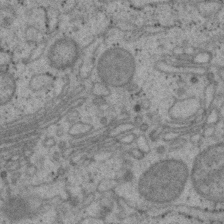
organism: Human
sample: HeLa cells